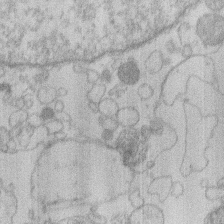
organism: Human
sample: Macrophage cells